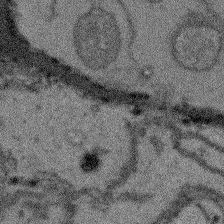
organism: Arabidopsis thaliana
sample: Root tip